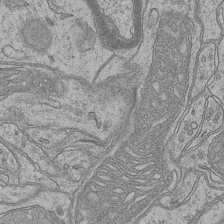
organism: Mouse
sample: CA1 Hippocampus